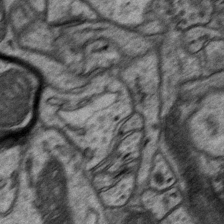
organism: Mouse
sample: CA1 Hippocampus